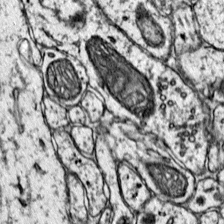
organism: Mouse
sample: Primary visual cortex